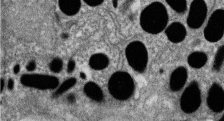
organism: Zebrafish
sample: Cilia; retinal pigment epithelium